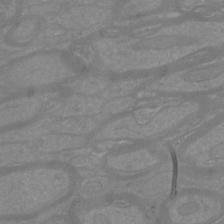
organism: Mouse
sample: Cortical neurons